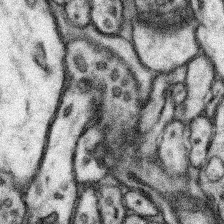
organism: Mouse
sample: Somatosensory cortex neuropil